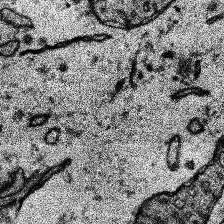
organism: Human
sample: Temporal Lobe